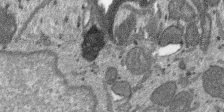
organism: Human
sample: Lung epithelial cells infected with SARS-CoV-2